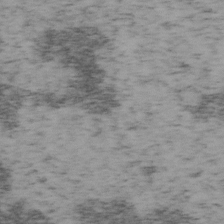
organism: Mouse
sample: OT-I killer T cells with ID8 ovarian cancer cells